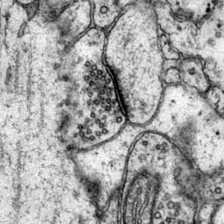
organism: Mouse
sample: Primary visual cortex